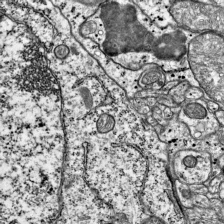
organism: Mouse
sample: Visual Cortex